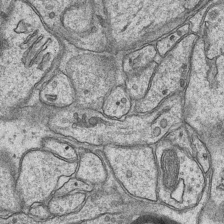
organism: Mouse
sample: CA1 Hippocampus